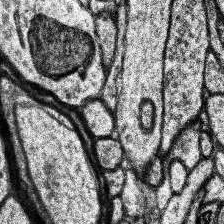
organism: Human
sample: Temporal Lobe